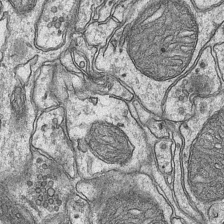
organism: Mouse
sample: CA1 Hippocampus